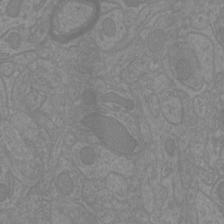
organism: Mouse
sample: Cortical neurons